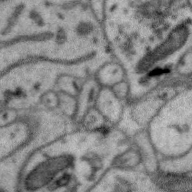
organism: Zebra finch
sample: Brain